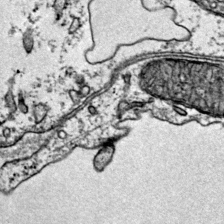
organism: Mouse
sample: Primary visual cortex